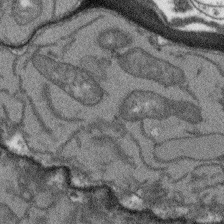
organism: Arabidopsis thaliana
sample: Root tip